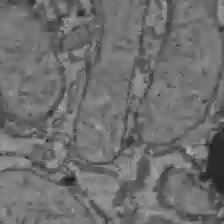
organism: C57BL Mouse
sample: Liver